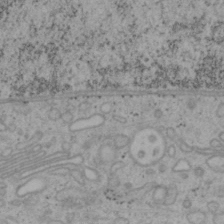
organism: Human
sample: HeLa cells